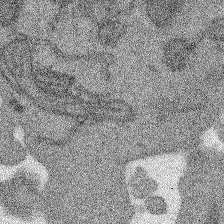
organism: Human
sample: HeLa cells